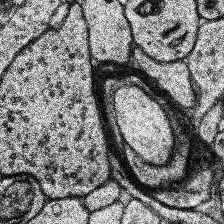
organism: Human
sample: Temporal Lobe